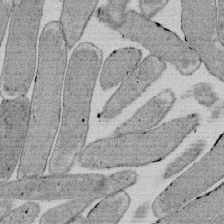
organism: E. coli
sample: Bacterial nucleoid